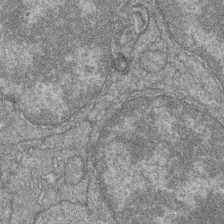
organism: Zebrafish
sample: Cilia; retinal pigment epithelium